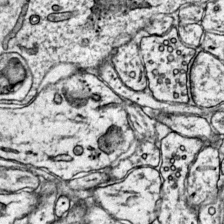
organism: Mouse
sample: Primary visual cortex